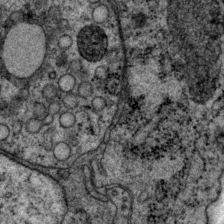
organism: P. pacificus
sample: Pharynx